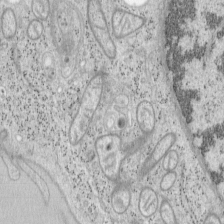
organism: Mouse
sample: OT-I killer T cells with ID8 ovarian cancer cells